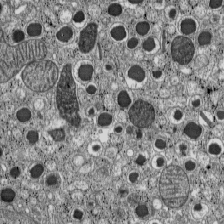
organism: C57BL Mouse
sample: Pancreatic islet